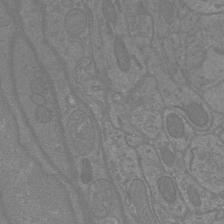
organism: Mouse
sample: Cortical neurons